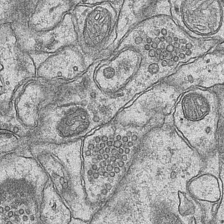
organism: Mouse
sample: CA1 Hippocampus